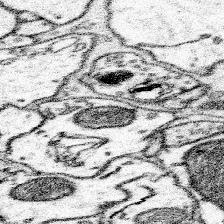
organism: Mouse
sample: Somatosensory cortex neuropil